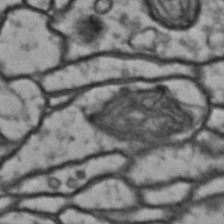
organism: Drosophila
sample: Brain